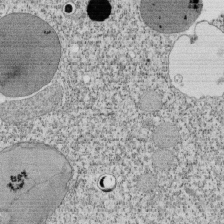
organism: Tetrahymena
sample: Cilia in tetrahymena